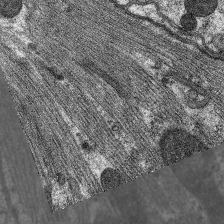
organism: C. elegans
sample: Pharynx